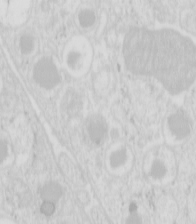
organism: Mouse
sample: Pancreas